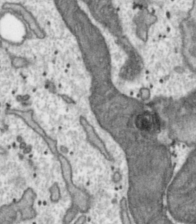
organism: Toxoplasma gondii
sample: Parasites in a vacuole inside a host cell